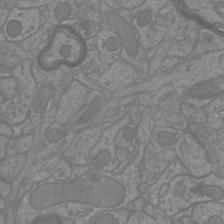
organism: Mouse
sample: Cortical neurons